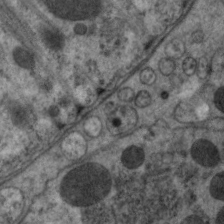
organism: C. elegans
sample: Pharynx